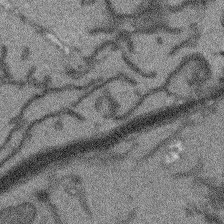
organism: Arabidopsis thaliana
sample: Root tip